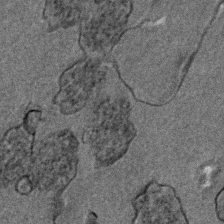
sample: Trachea